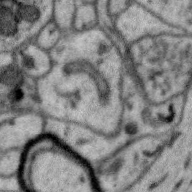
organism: Zebra finch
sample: Brain